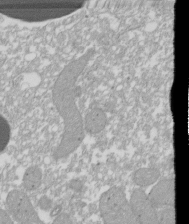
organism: Xenopus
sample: Cilia; centrioles in frog embryo cells